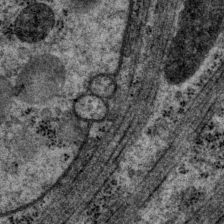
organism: P. pacificus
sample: Pharynx